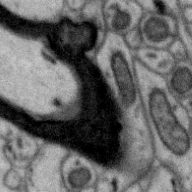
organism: Zebra finch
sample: Brain